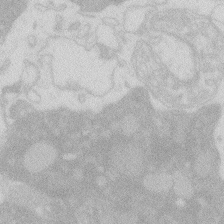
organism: Zebrafish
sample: Macrophage